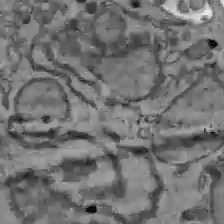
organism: C57BL Mouse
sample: Liver